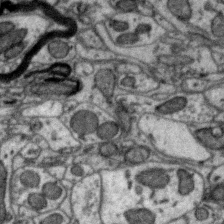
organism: Zebra finch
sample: Brain